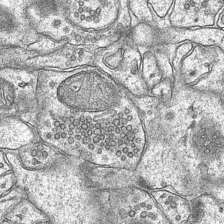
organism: Mouse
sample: CA1 Hippocampus